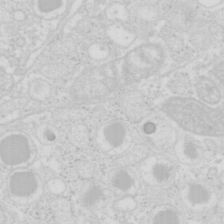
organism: Mouse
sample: Pancreas